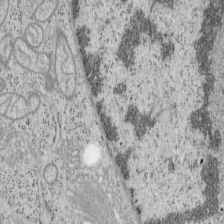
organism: Mouse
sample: OT-I killer T cells with ID8 ovarian cancer cells